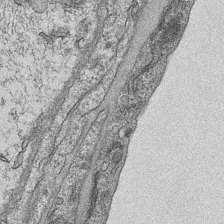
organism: Mouse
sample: CA1 Hippocampus